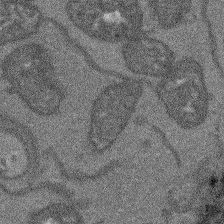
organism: Arabidopsis thaliana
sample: Root tip